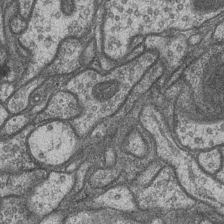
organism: Drosophila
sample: Optic medulla